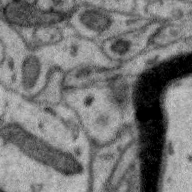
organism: Zebra finch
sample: Brain